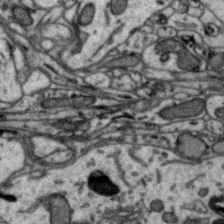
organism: Zebra finch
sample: Brain